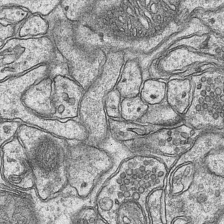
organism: Mouse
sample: CA1 Hippocampus